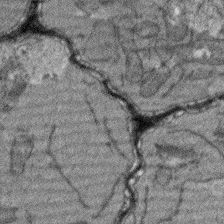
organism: Arabidopsis thaliana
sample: Root tip